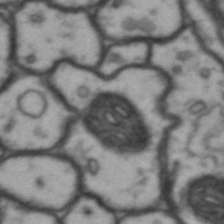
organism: Drosophila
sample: Brain